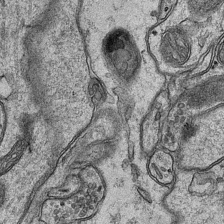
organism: Mouse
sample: CA1 Hippocampus